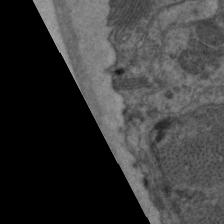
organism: C. elegans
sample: Pharynx